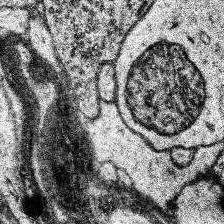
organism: Human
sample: Temporal Lobe